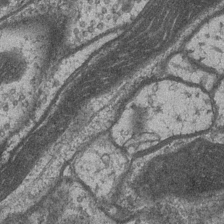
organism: Drosophila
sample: Optic medulla